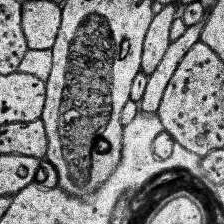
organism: Human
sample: Temporal Lobe